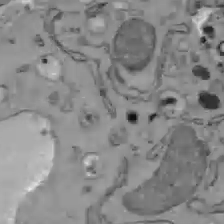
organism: C57BL Mouse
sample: Liver